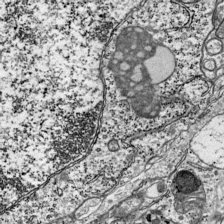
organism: Mouse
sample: Visual Cortex